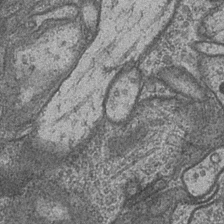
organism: Drosophila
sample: Optic medulla